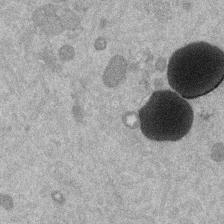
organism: Mouse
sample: Dividing mouse embryo 1 cell stage